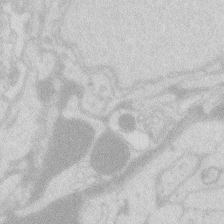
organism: Zebrafish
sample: Macrophage